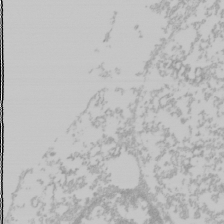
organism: Mouse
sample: Cancer cell death in ED-1 cells